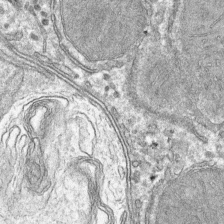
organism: Mouse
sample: Mouse hepatocytes